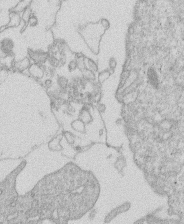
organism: Human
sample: Macrophage cells